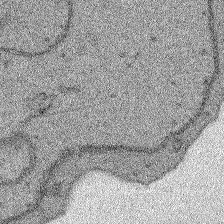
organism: Human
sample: HeLa cells